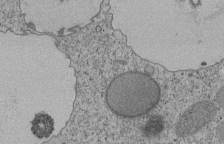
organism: Tetrahymena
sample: Cilia in tetrahymena